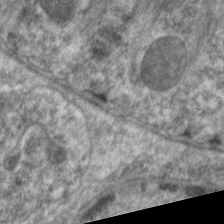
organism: C. elegans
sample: Pharynx